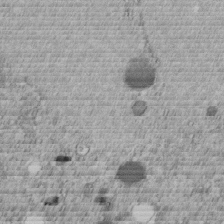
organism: C. elegans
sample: C. elegans embryo early stage